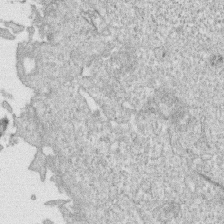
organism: Human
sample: HeLa cell HIV synapse